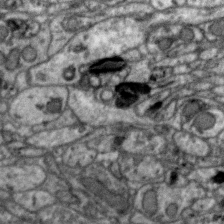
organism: Zebra finch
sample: Brain